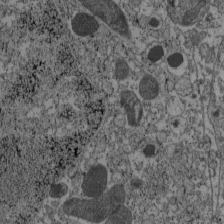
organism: C57BL Mouse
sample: Pancreatic islet